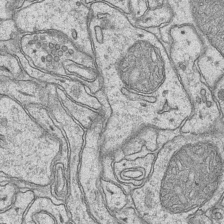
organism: Mouse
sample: CA1 Hippocampus